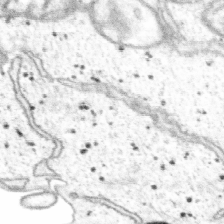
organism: Human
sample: HeLa cells